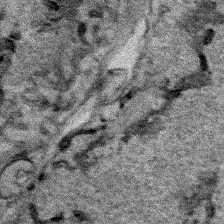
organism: Human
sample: Mitochondria in HCT116 cells